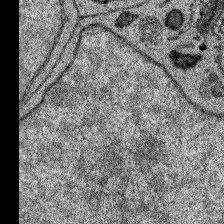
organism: Zebrafish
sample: Larval olfactory bulb